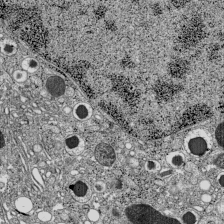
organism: C57BL Mouse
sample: Pancreatic islet